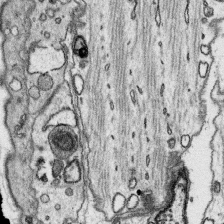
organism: Platynereis dumerilii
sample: Parapodia